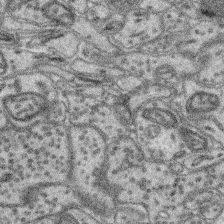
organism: Mouse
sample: Retina